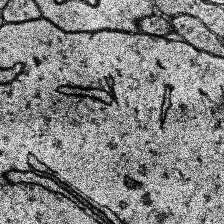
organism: Human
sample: Temporal Lobe